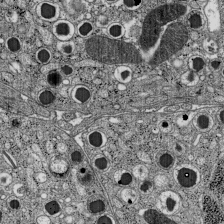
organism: C57BL Mouse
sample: Pancreatic islet